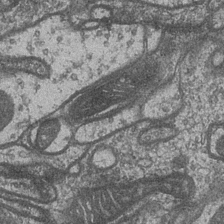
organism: Drosophila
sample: Optic medulla